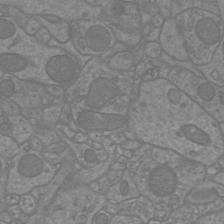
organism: Mouse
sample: Cortical neurons